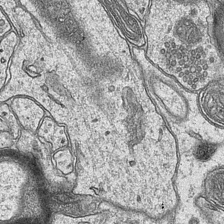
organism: Mouse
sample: CA1 Hippocampus